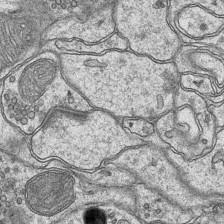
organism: Mouse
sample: CA1 Hippocampus